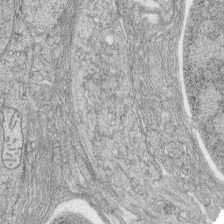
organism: Zebrafish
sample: synaptic ribbons in rod cells and cone cells